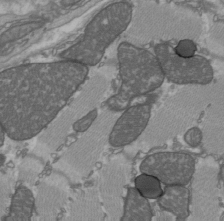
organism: C57BL Mouse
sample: Heart